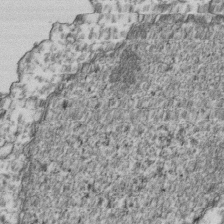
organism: Human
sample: Activated Jurkat CD4+ T cells